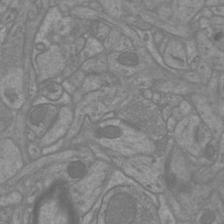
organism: Mouse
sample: Cortical neurons